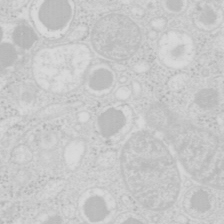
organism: Mouse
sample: Pancreas